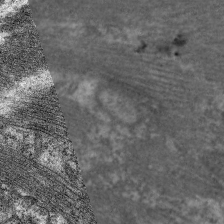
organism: C. elegans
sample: Pharynx